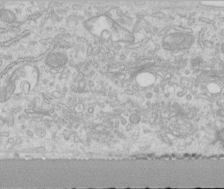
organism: Human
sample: Centriole in RPE cells